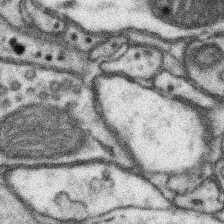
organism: Mouse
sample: Somatosensory cortex neuropil